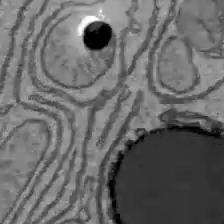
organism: C57BL Mouse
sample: Liver